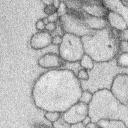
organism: Rabbit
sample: Retina